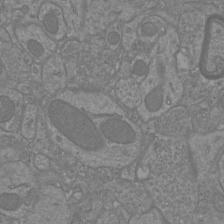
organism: Mouse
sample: Cortical neurons